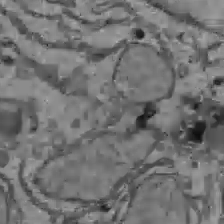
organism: C57BL Mouse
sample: Liver